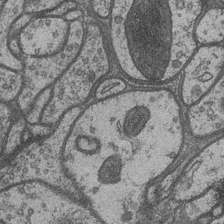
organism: Drosophila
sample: Optic medulla